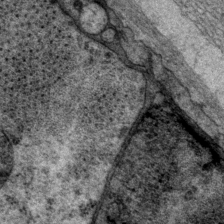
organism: P. pacificus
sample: Pharynx